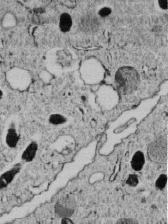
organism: C. elegans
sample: C. elegans embryo early stage